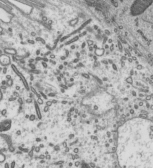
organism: Mouse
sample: Mouse epididymis efferent ductule cilia